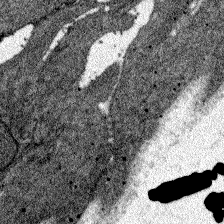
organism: Zebrafish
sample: Larval olfactory bulb